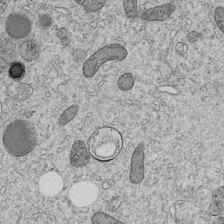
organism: C. elegans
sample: C. elegans embryo early stage